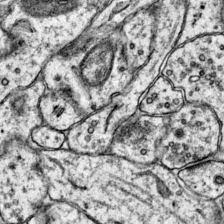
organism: Mouse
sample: Primary visual cortex